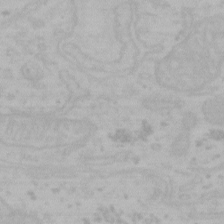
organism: Mouse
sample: Choroid plexus